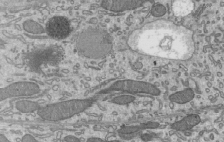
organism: Mouse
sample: Mouse epididymis efferent ductule cilia